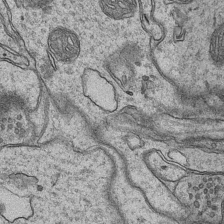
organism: Mouse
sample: CA1 Hippocampus